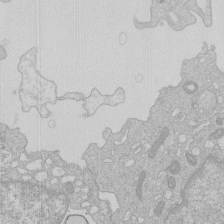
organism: Human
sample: Macrophage cells